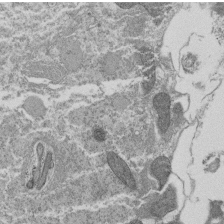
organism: Tetrahymena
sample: Cilia in tetrahymena